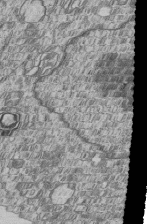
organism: Human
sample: MDA-MB-231 cells